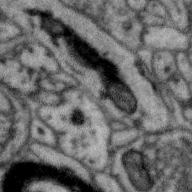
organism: Zebra finch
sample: Brain